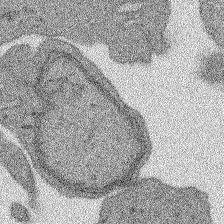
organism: Human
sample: HeLa cells